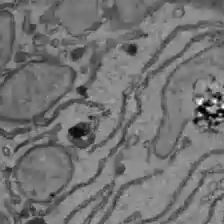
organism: C57BL Mouse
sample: Liver